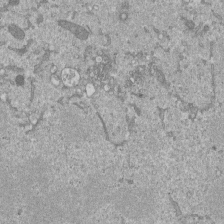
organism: Mouse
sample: ED-1 cell nuclei; centrioles